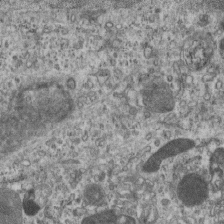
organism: Mouse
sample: Centriole in ependymal cells